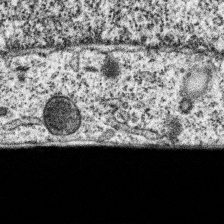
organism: Human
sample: HeLa cells